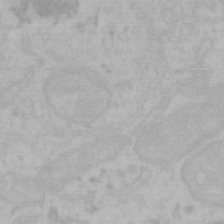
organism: Mouse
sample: Choroid plexus